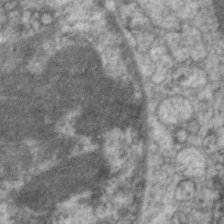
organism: C. elegans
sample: Pharynx